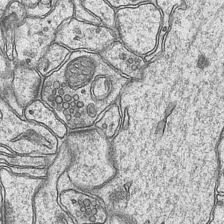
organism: Mouse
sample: CA1 Hippocampus